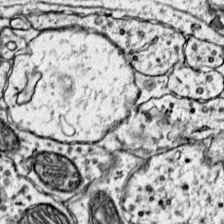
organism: Mouse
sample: Primary visual cortex